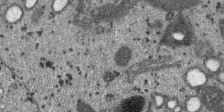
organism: Human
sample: Lung epithelial cells infected with SARS-CoV-2